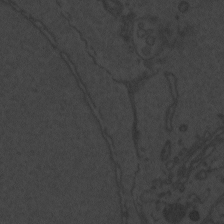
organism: Zebrafish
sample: Macrophage infected with Toxoplasma gondii